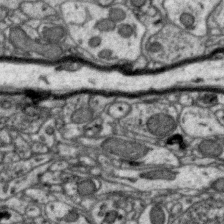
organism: Zebra finch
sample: Brain